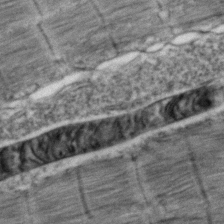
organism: Zebrafish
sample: Zebrafish embryo